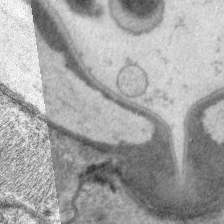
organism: C. elegans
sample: Pharynx